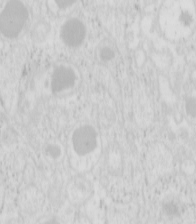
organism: Mouse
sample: Pancreas